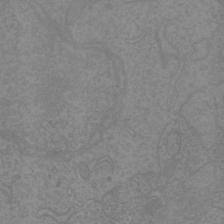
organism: Mouse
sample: Cortical neurons